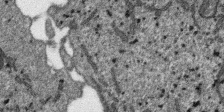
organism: Human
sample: Lung epithelial cells infected with SARS-CoV-2